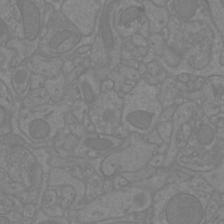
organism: Mouse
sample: Cortical neurons